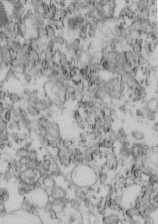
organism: Mouse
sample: Cilia; retinal pigment epithelium